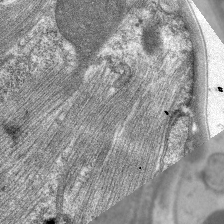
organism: C. elegans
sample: Pharynx